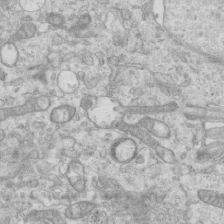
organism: Mouse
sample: Centriole in ependymal cells